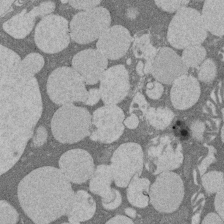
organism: Rat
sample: Salivary granule